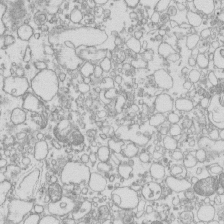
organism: Mouse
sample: Macrophages